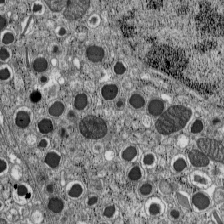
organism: C57BL Mouse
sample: Pancreatic islet